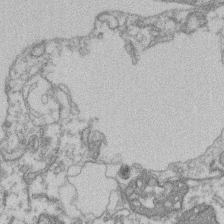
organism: Mouse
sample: T cell stromal cell synapse